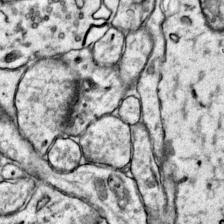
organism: Mouse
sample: Primary visual cortex